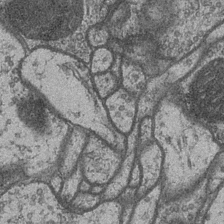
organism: Drosophila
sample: Optic medulla